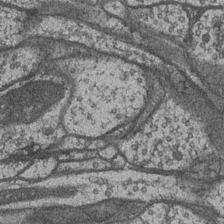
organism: Drosophila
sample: Optic medulla